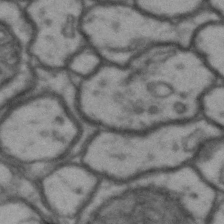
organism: Drosophila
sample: Brain